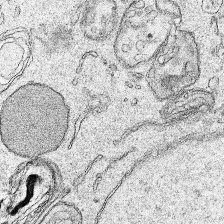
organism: Human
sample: Mitochondria in HCT116 cells